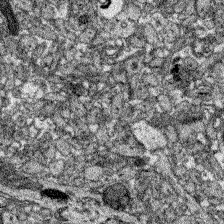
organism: Zebrafish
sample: Larval olfactory bulb